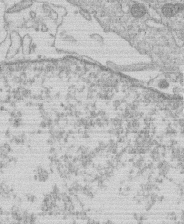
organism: Human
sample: Macrophage cells